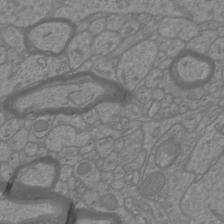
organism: Mouse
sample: Cortical neurons